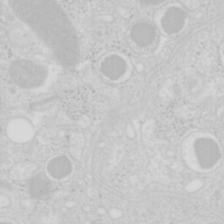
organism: Mouse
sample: Pancreas